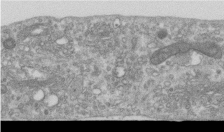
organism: Human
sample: Centriole in RPE cells